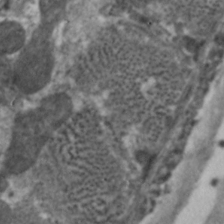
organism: C. elegans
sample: Pharynx